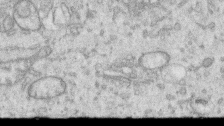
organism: Human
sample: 1205lu cells